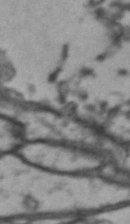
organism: Drosophila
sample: Brain